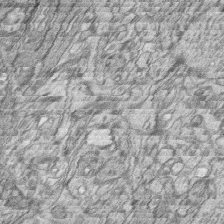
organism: Zebrafish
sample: synaptic ribbons in rod cells and cone cells